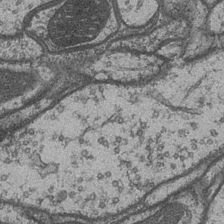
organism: Drosophila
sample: Optic medulla